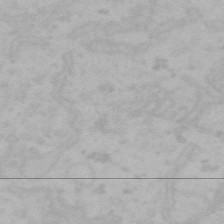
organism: Mouse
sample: Choroid plexus